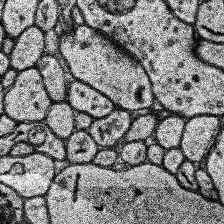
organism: Human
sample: Temporal Lobe